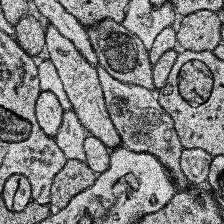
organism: Human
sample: Temporal Lobe